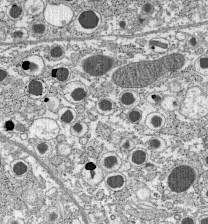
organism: C57BL Mouse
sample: Pancreatic islet